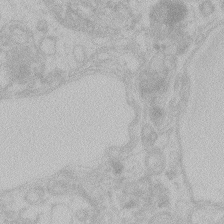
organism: Zebrafish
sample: Macrophage infected with Toxoplasma gondii